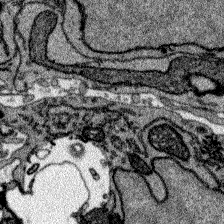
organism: Zebrafish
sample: Larval olfactory bulb